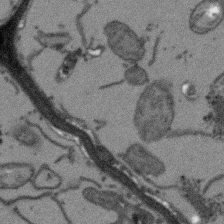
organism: Arabidopsis thaliana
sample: Root tip